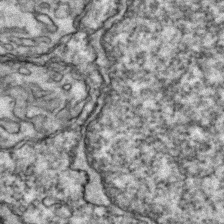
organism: Zebrafish